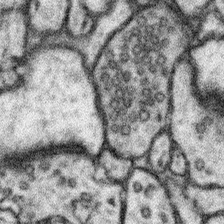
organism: Mouse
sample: Somatosensory cortex neuropil